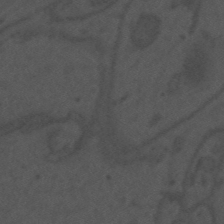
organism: Mouse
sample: Suprachiasmatic nucleus